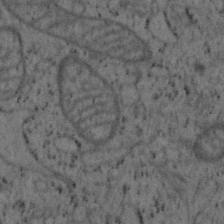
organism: Human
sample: HeLa cells